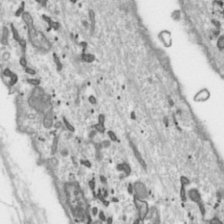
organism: Toxoplasma gondii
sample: Parasites in a vacuole inside a host cell